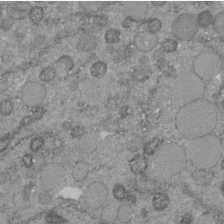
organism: C. elegans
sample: C. elegans embryo early stage